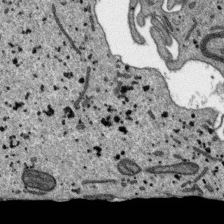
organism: Human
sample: Lung epithelial cells, uninfected (mock) control